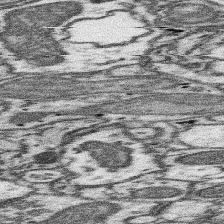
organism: Mouse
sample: Somatosensory cortex neuropil